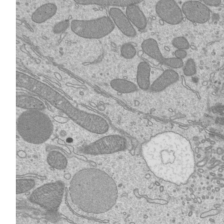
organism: Mouse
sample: Cilia; mouse epididymis